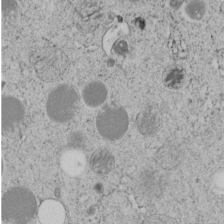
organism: C. elegans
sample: C. elegans embryo early stage